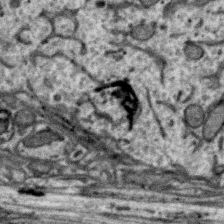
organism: Zebra finch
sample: Brain